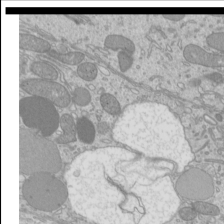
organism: Mouse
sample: Cilia; mouse epididymis